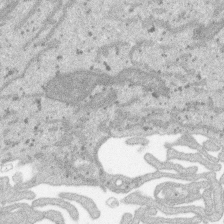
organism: Human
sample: Lung epithelial cells infected with SARS-CoV-2